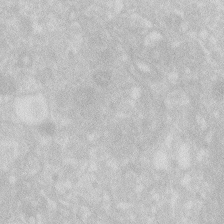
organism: Zebrafish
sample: Macrophage